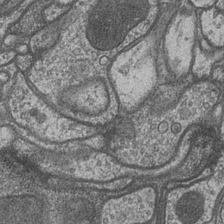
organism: Drosophila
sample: Optic medulla